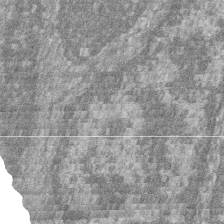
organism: Zebrafish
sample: Cilia; retinal pigment epithelium